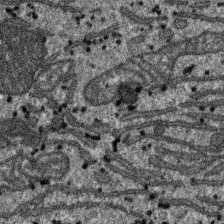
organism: Human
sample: Lung epithelial cells infected with SARS-CoV-2